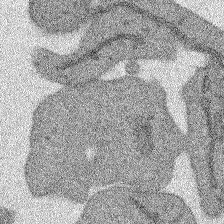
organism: Human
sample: HeLa cells